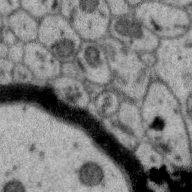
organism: Zebra finch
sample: Brain